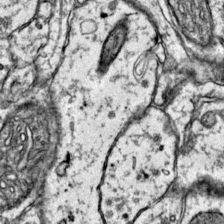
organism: Mouse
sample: Primary visual cortex